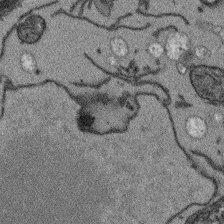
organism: Arabidopsis thaliana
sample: Root tip